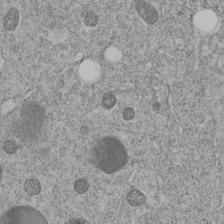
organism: C. elegans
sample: C. elegans embryo early stage